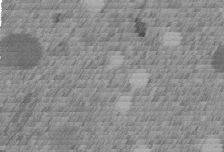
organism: C. elegans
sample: C. elegans embryo early stage